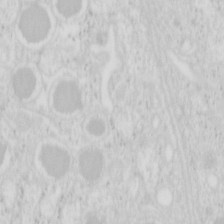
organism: Mouse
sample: Pancreas